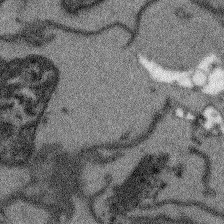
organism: Arabidopsis thaliana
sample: Root tip